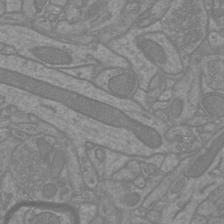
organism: Mouse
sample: Cortical neurons